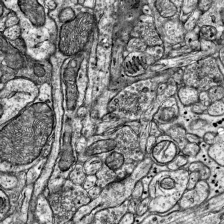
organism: Mouse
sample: Visual Cortex